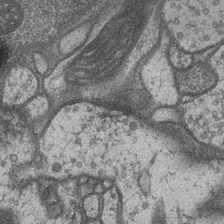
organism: Drosophila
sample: Optic medulla